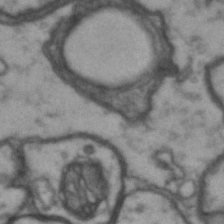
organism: Drosophila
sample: Brain